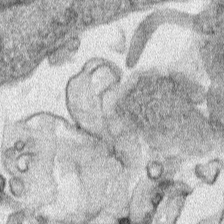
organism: Human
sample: Mitochondria in HCT116 cells